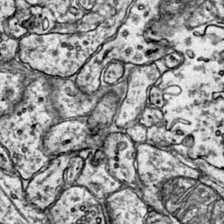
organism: Mouse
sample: Primary visual cortex